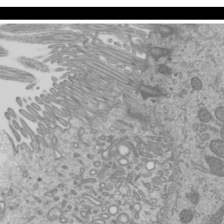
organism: Mouse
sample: Cilia; mouse epididymis